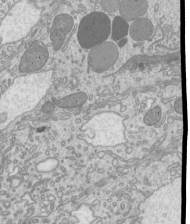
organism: Mouse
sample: Cilia; mouse epididymis